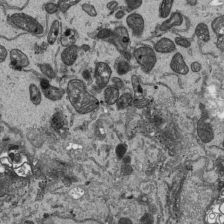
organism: Human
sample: Mitochondria in HCT116 cells